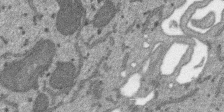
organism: Human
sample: Lung epithelial cells infected with SARS-CoV-2